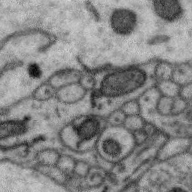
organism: Zebra finch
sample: Brain